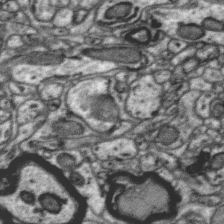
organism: Zebra finch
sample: Brain